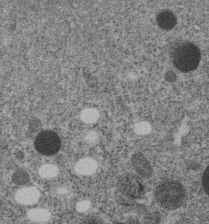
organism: C. elegans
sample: C. elegans embryo early stage